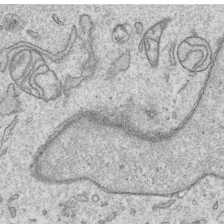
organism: Human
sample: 1205lu cells